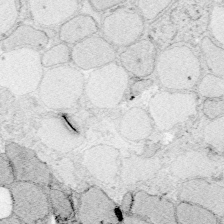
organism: Zebrafish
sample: Whole-Brain